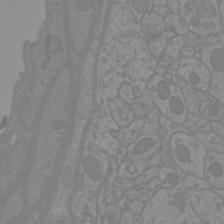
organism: Mouse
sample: Cortical neurons